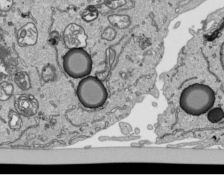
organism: Human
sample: Mitochondria in HCT116 cells